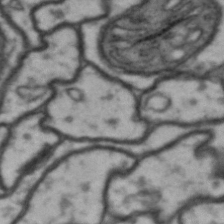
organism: Drosophila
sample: Brain